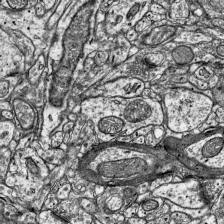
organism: Mouse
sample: Visual Cortex